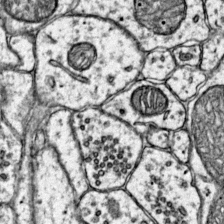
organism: Mouse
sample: Primary visual cortex